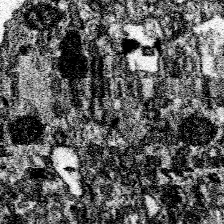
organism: Spongilla lacustris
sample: Neuroid cell